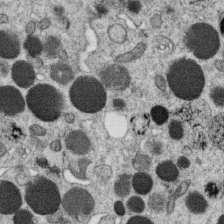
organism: C. elegans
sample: C. elegans oocyte; sperm cells